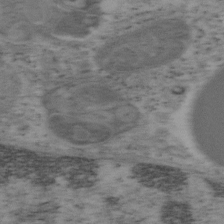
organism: Mouse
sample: OT-I killer T cells with ID8 ovarian cancer cells